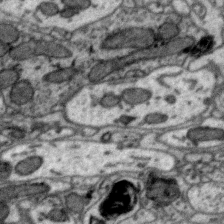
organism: Zebra finch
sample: Brain